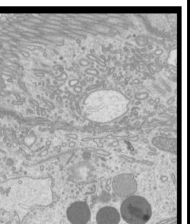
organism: Mouse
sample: Cilia; mouse epididymis